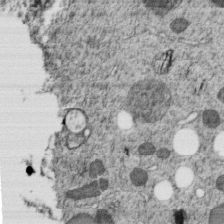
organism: C. elegans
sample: C. elegans embryo early stage